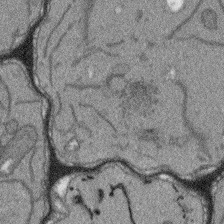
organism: Arabidopsis thaliana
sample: Root tip